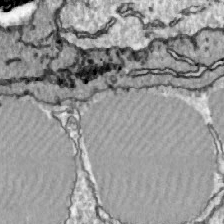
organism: Zebrafish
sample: Actinotrichia fibers